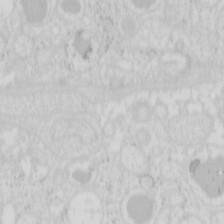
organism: Mouse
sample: Pancreas